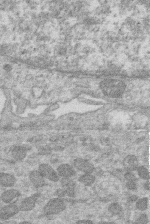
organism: Human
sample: Macrophage cells